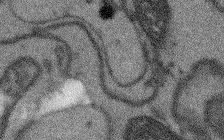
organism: Arabidopsis thaliana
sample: Root tip